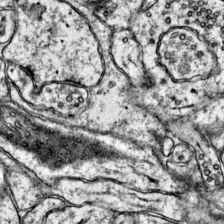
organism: Mouse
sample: Primary visual cortex